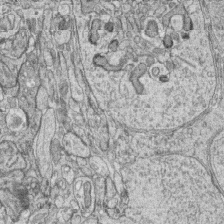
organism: Zebrafish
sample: synaptic ribbons in rod cells and cone cells